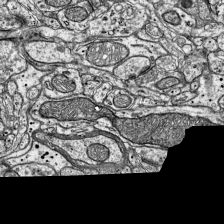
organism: Mouse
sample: Visual Cortex